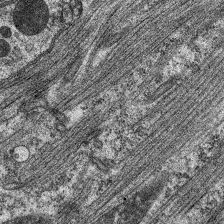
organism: C. elegans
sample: Pharynx